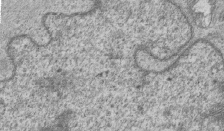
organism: Human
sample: MDA-MB-231 cells